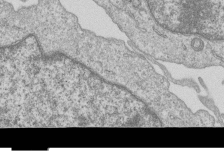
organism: Human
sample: MDA-MB-231 cells